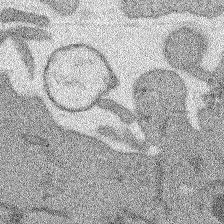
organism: Human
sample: HeLa cells